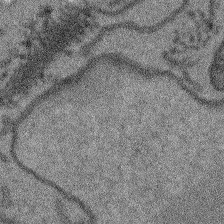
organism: Arabidopsis thaliana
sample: Root tip